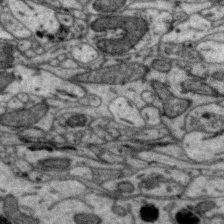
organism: Zebra finch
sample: Brain